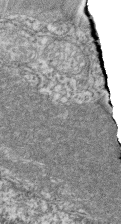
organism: Zebrafish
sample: Cilia; retinal pigment epithelium